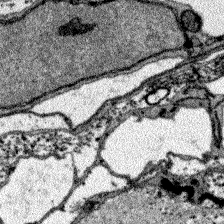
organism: Zebrafish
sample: Larval olfactory bulb